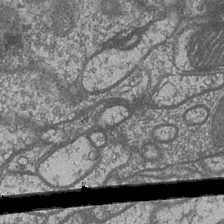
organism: Drosophila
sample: Optic medulla